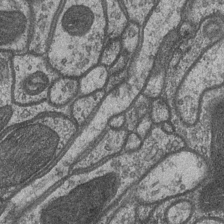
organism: Drosophila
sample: Optic medulla